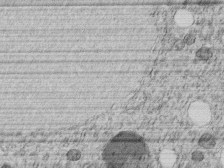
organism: C. elegans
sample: C. elegans embryo early stage